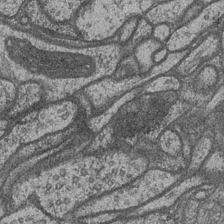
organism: Drosophila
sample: Optic medulla